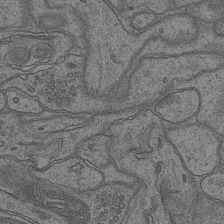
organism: Mouse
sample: CA1 Hippocampus